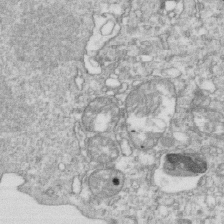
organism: Mouse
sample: Activated OT-1 CD8+ T cells